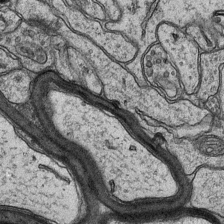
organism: Mouse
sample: CA1 Hippocampus